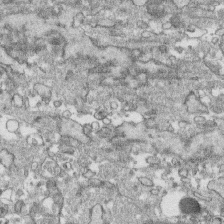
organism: Human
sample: CRL-1474